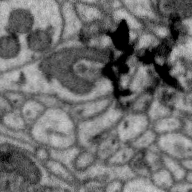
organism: Zebra finch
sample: Brain